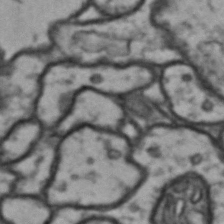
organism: Drosophila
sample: Brain